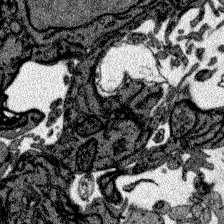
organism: Zebrafish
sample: Larval olfactory bulb